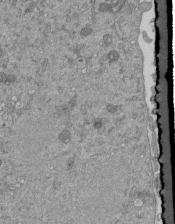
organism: Mouse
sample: ED-1 cell nuclei; centrioles